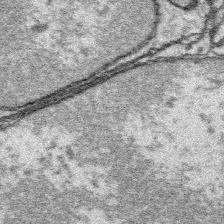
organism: Platynereis dumerilii